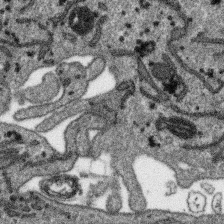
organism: Human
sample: Lung epithelial cells infected with SARS-CoV-2